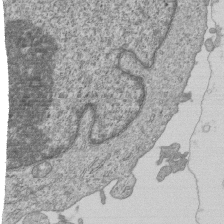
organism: Human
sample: MDA-MB-231 cells